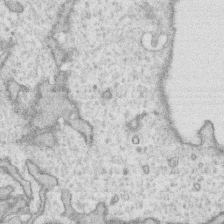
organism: Human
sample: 1205lu cells